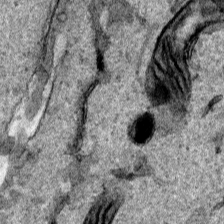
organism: Human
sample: Mitochondria in HCT116 cells